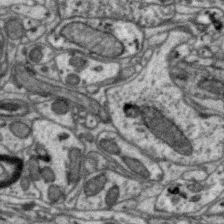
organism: Zebra finch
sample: Brain